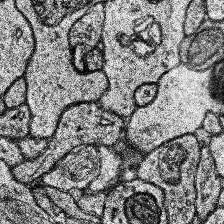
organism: Human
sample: Temporal Lobe